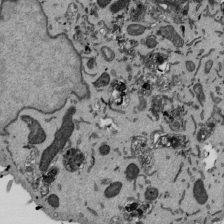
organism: Mouse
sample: ED-1 cell nuclei; centrioles